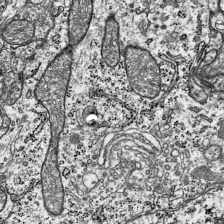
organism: Mouse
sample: Visual Cortex